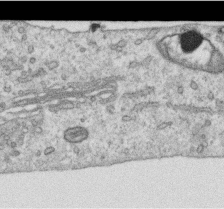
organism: Human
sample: Centriole in RPE cells